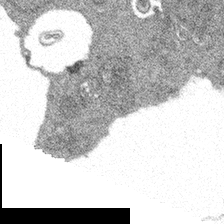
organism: Spongilla lacustris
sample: Multiple